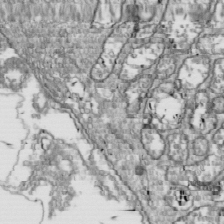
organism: Drosophila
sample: Cell division; meiosis; drosophila spermatocytes